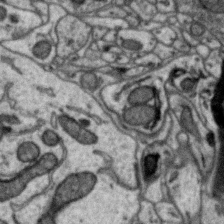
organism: Zebra finch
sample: Brain